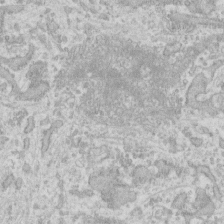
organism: Human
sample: Fibroblast cells